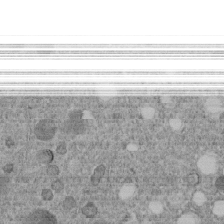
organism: C. elegans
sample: C. elegans embryo early stage